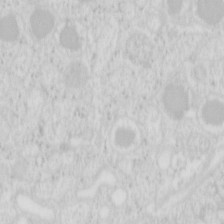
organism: Mouse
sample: Pancreas